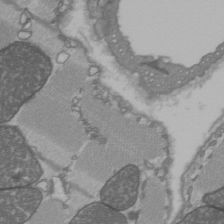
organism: C57BL Mouse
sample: Heart